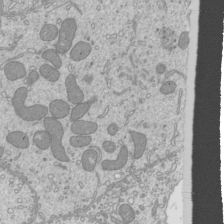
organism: Mouse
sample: Cilia; mouse epididymis